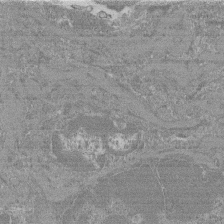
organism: Mouse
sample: Glomerulus